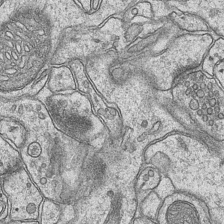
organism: Mouse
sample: CA1 Hippocampus